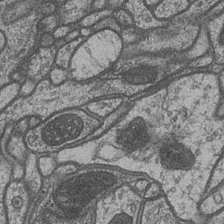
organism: Drosophila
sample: Optic medulla